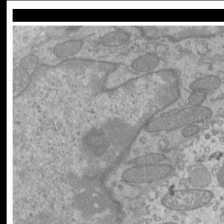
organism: Mouse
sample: Cilia; mouse epididymis